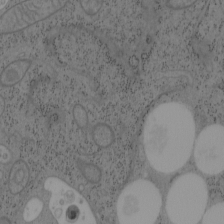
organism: Mouse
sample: OT-I killer T cells with ID8 ovarian cancer cells